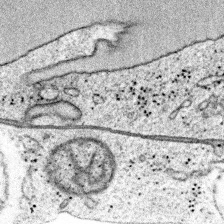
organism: Human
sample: HeLa cells